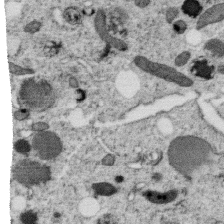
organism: C. elegans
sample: C. elegans oocyte; sperm cells